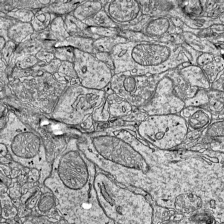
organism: Mouse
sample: Visual Cortex